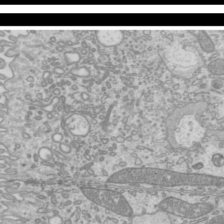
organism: Mouse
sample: Cilia; mouse epididymis